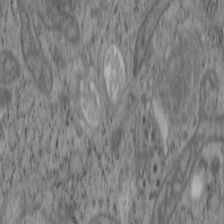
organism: Human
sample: HeLa cells